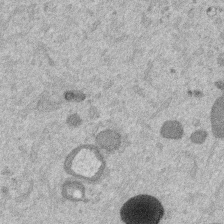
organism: Mouse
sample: Dividing mouse embryo 1 cell stage